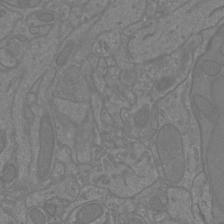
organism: Mouse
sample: Cortical neurons